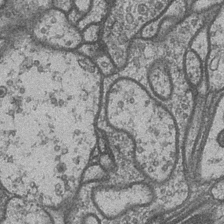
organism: Drosophila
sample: Optic medulla